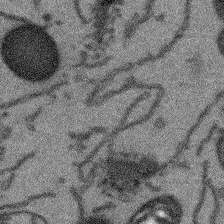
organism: Arabidopsis thaliana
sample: Root tip